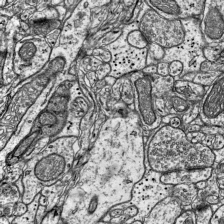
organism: Mouse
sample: Visual Cortex